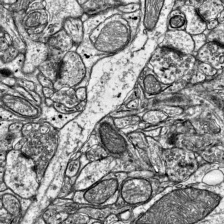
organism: Mouse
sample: Visual Cortex